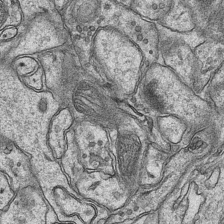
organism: Mouse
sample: CA1 Hippocampus